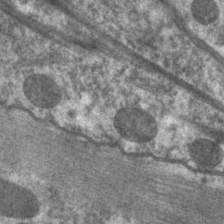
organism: C. elegans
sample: Pharynx